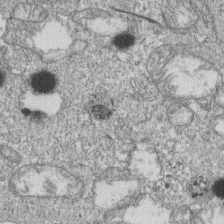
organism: Human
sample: HeLa cell HIV synapse